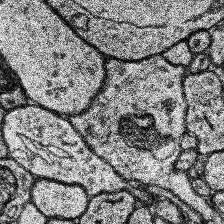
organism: Human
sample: Temporal Lobe